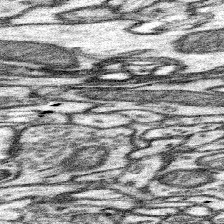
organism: Mouse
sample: Somatosensory cortex neuropil